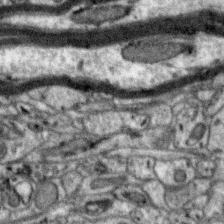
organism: Zebra finch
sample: Brain